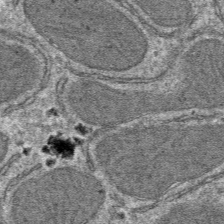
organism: Mouse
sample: Mouse hepatocytes